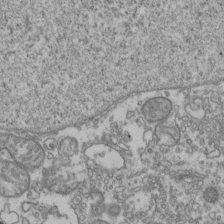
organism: Human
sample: Activated Jurkat CD4+ T cells